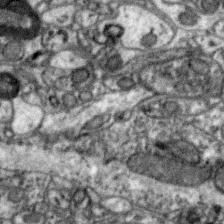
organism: Zebra finch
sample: Brain